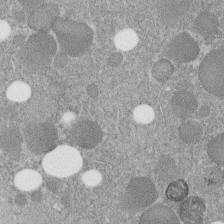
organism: C. elegans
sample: C. elegans embryo early stage